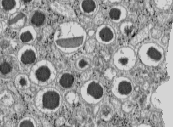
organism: C57BL Mouse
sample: Pancreatic islet